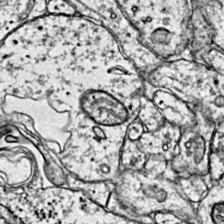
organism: Mouse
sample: Primary visual cortex